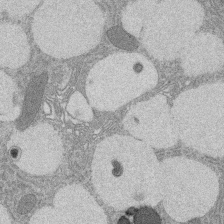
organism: Rat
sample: Salivary granule